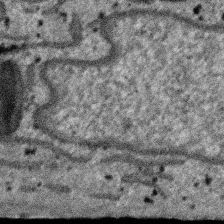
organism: Human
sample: Lung epithelial cells infected with SARS-CoV-2